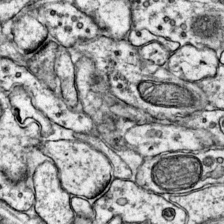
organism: Mouse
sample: Primary visual cortex